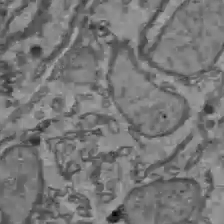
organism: C57BL Mouse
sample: Liver